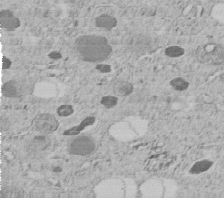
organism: C. elegans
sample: C. elegans embryo early stage